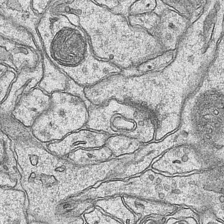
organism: Mouse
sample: CA1 Hippocampus